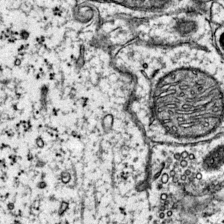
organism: Mouse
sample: Primary visual cortex